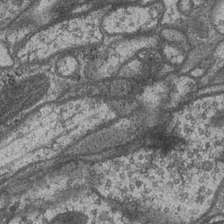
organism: Drosophila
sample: Optic medulla